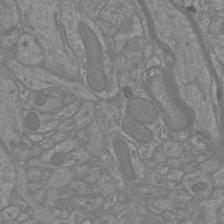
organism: Mouse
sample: Cortical neurons